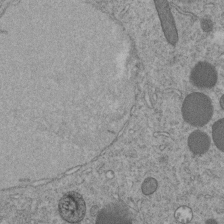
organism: C. elegans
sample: C. elegans embryo early stage